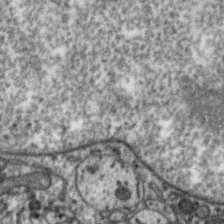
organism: Zebra finch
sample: Brain